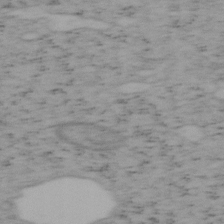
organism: Mouse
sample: OT-I killer T cells with ID8 ovarian cancer cells